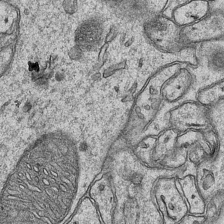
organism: Mouse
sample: CA1 Hippocampus